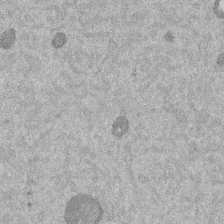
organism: Mouse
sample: Dividing mouse embryo 1 cell stage